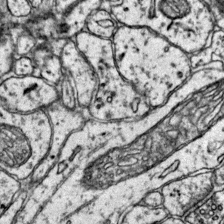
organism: Mouse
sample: Primary visual cortex